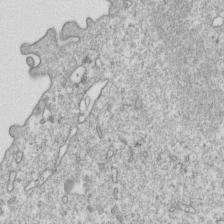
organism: Mouse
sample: Activated OT-1 CD8+ T cells